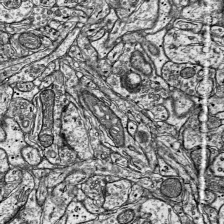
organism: Mouse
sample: Visual Cortex